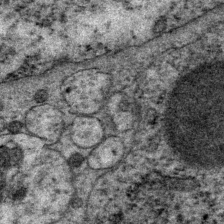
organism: P. pacificus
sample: Pharynx